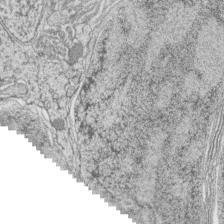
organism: Zebrafish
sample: synaptic ribbons in rod cells and cone cells